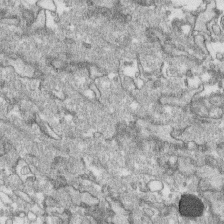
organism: Human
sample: CRL-1474